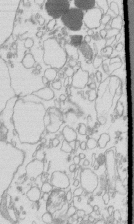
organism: Mouse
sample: Macrophages